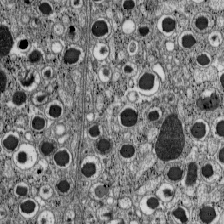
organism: C57BL Mouse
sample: Pancreatic islet